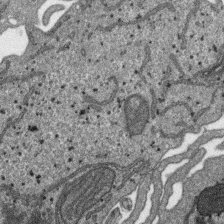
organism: Human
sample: Lung epithelial cells infected with SARS-CoV-2